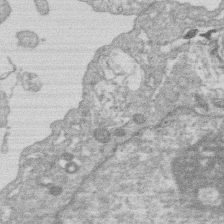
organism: Human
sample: Macrophage cells